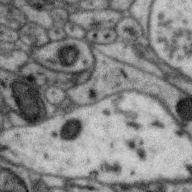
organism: Zebra finch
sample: Brain